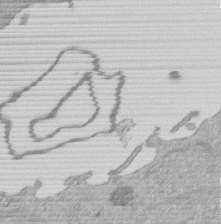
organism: Mouse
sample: Dividing mouse embryo 1 cell stage